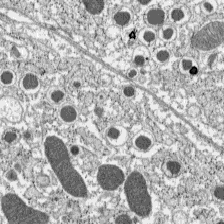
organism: C57BL Mouse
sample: Pancreatic islet